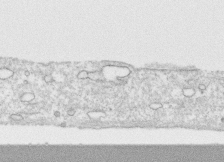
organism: Human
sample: CRL-1474